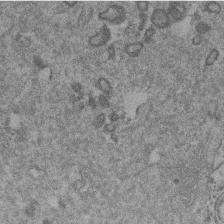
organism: Mouse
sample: Dividing mouse embryo 1 cell stage